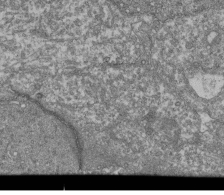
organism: Human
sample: Retinal organoid Rod and Cone cells